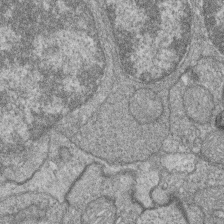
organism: Zebrafish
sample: Cilia; retinal pigment epithelium